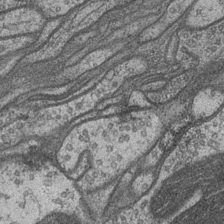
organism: Drosophila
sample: Optic medulla